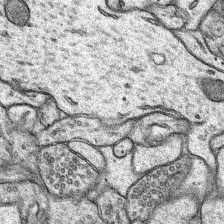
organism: Rat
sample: Hippocampus